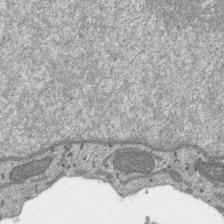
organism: Human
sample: Lung epithelial cells infected with SARS-CoV-2